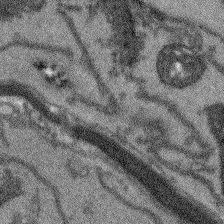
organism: Arabidopsis thaliana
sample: Root tip